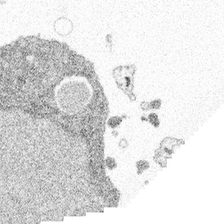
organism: Spongilla lacustris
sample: Multiple